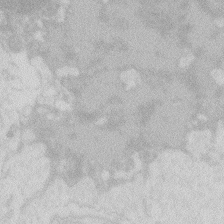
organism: Zebrafish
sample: Macrophage